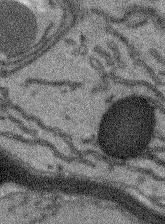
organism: Arabidopsis thaliana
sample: Root tip